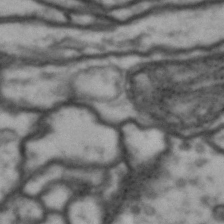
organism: Drosophila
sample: Brain